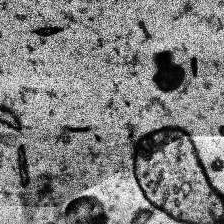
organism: Human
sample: Temporal Lobe